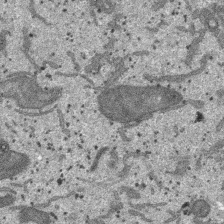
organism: Human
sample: Lung epithelial cells infected with SARS-CoV-2